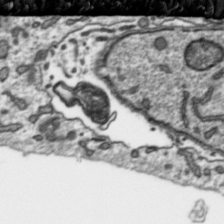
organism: Toxoplasma gondii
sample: Parasites in a vacuole inside a host cell